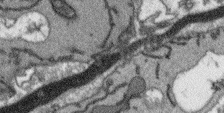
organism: Arabidopsis thaliana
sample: Root tip